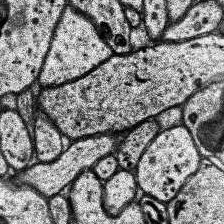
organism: Human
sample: Temporal Lobe